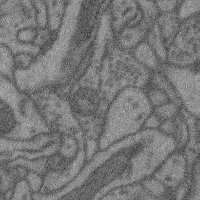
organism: Mouse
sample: Cerebral cortex